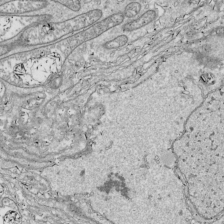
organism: Drosophila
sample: Cell division; meiosis; drosophila spermatocytes